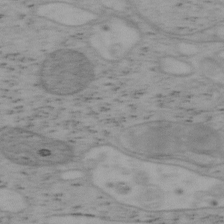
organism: Mouse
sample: OT-I killer T cells with ID8 ovarian cancer cells